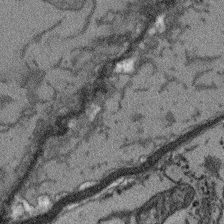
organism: Arabidopsis thaliana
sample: Root tip